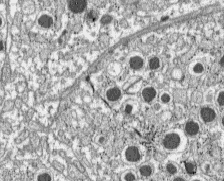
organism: C57BL Mouse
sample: Pancreatic islet